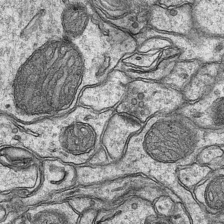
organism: Mouse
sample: CA1 Hippocampus